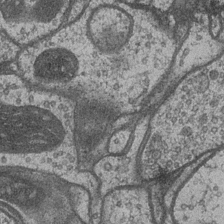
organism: Drosophila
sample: Optic medulla